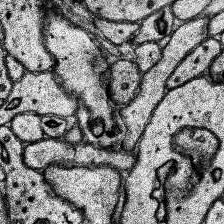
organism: Human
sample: Temporal Lobe